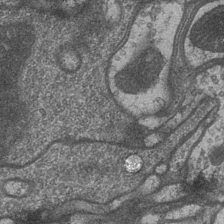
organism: Drosophila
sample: Optic medulla